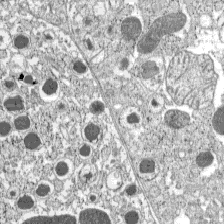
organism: C57BL Mouse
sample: Pancreatic islet